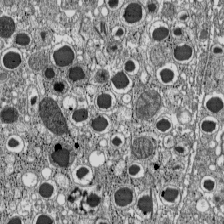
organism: C57BL Mouse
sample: Pancreatic islet